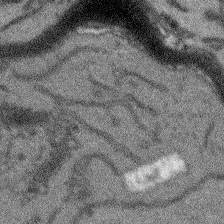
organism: Arabidopsis thaliana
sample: Root tip